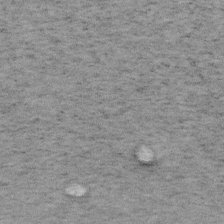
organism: Mouse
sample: OT-I killer T cells with ID8 ovarian cancer cells